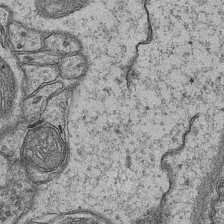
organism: Mouse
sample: CA1 Hippocampus